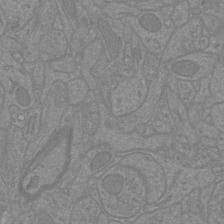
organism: Mouse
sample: Cortical neurons